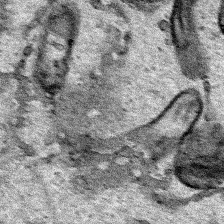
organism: Human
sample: Mitochondria in HCT116 cells